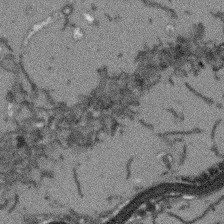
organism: Arabidopsis thaliana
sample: Root tip